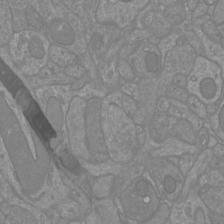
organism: Mouse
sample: Cortical neurons